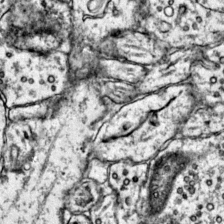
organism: Mouse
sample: Primary visual cortex